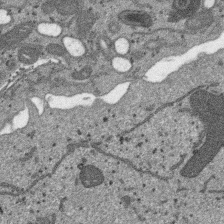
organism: Human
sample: Lung epithelial cells infected with SARS-CoV-2